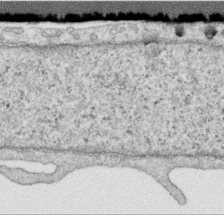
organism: Human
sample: Centriole in RPE cells